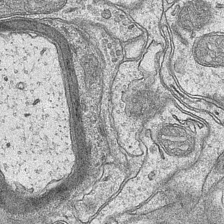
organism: Mouse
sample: CA1 Hippocampus